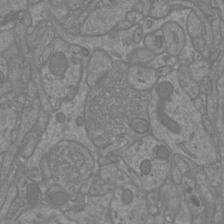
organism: Mouse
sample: Cortical neurons